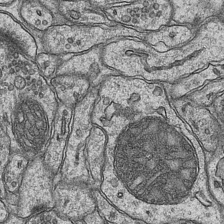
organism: Mouse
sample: CA1 Hippocampus